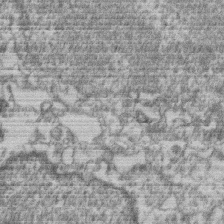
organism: Mouse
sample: T cell stromal cell synapse